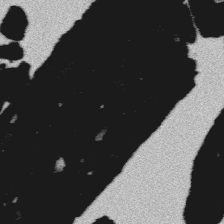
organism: Platynereis dumerilii